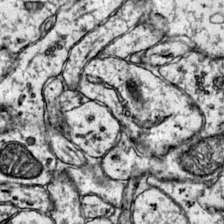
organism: Mouse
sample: Primary visual cortex